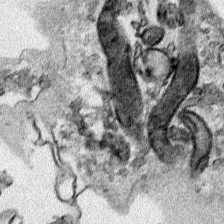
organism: Human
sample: Mitochondria in HCT116 cells